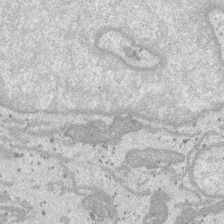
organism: Human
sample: Lung epithelial cells infected with SARS-CoV-2